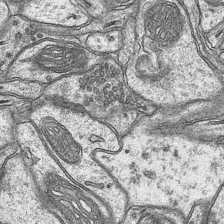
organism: Mouse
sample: CA1 Hippocampus